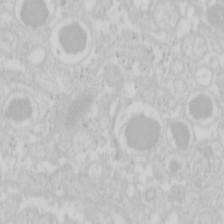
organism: Mouse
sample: Pancreas